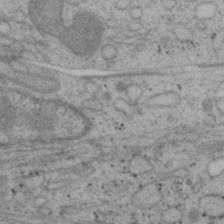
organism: Human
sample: HeLa cells